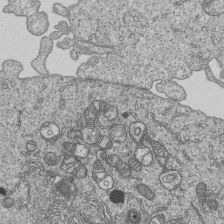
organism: Human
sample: MDA-MB-231 cells